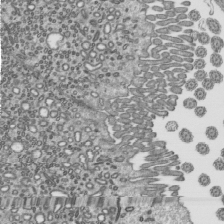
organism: Mouse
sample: Mouse epididymis efferent ductule cilia